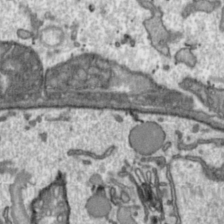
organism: Toxoplasma gondii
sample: Parasites in a vacuole inside a host cell